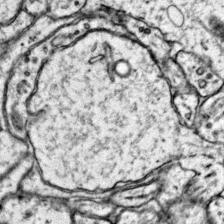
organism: Mouse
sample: Primary visual cortex